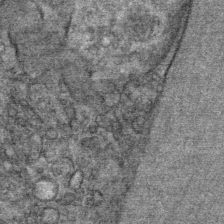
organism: Mouse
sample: Mouse Salivary gland